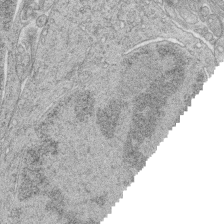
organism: Zebrafish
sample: synaptic ribbons in rod cells and cone cells